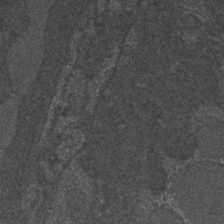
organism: C. elegans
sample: C. elegans embryo